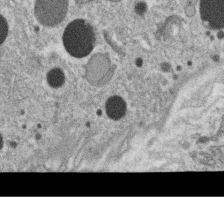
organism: C. elegans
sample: C. elegans oocyte; sperm cells